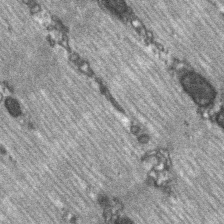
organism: C57BL Mouse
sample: Soleus